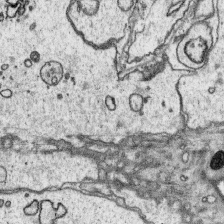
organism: Platynereis dumerilii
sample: Parapodia